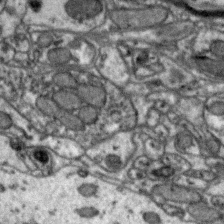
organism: Zebra finch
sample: Brain